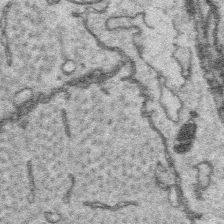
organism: Platynereis dumerilii